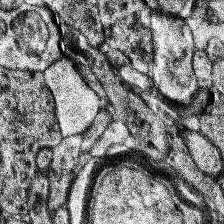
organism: Human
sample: Temporal Lobe